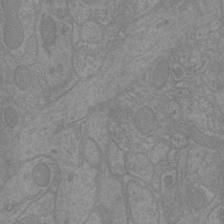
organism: Mouse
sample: Cortical neurons